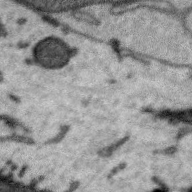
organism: Zebra finch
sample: Brain